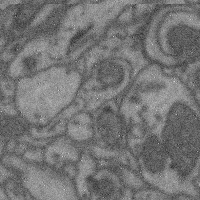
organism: Mouse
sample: Cerebral cortex